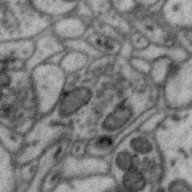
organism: Zebra finch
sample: Brain